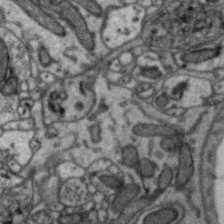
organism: Zebra finch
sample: Brain